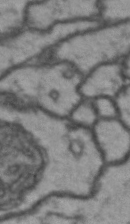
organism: Drosophila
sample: Brain